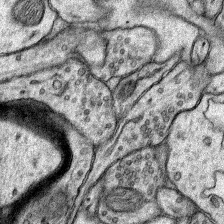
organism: Rat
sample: Hippocampus